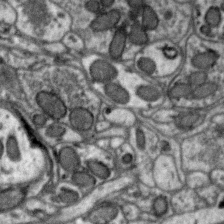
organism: Zebra finch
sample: Brain